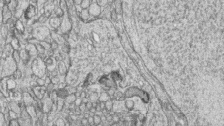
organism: Zebrafish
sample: synaptic ribbons in rod cells and cone cells